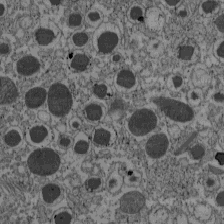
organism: C57BL Mouse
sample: Pancreatic islet